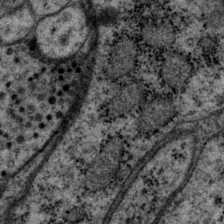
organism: P. pacificus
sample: Pharynx